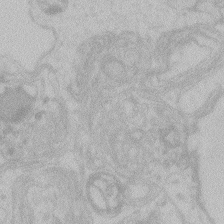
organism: Zebrafish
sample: Macrophage infected with Toxoplasma gondii